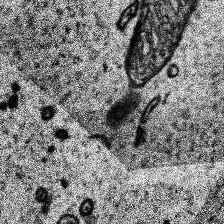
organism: Human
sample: Temporal Lobe